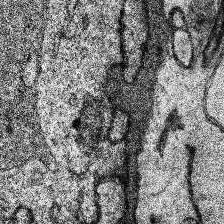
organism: Human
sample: Temporal Lobe